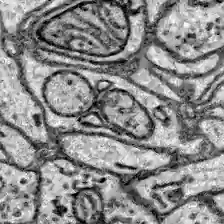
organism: Zebrafish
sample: Brain